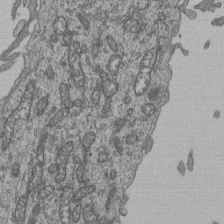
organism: Human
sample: Retinal organoid Rod and Cone cells